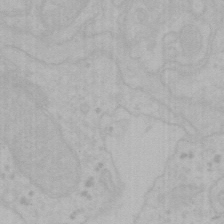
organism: Mouse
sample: Choroid plexus